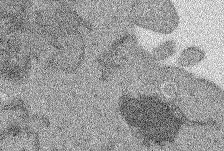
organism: Human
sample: HeLa cells